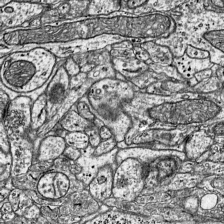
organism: Mouse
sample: Visual Cortex